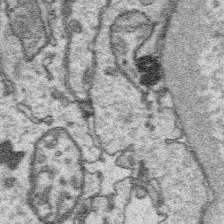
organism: Platynereis dumerilii